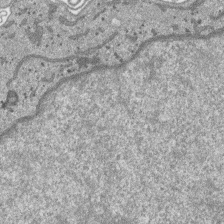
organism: Human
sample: Lung epithelial cells infected with SARS-CoV-2